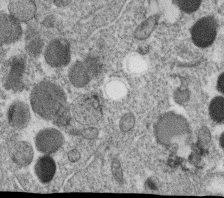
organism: C. elegans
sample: C. elegans oocyte; sperm cells